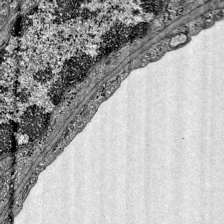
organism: Mouse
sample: Visual Cortex